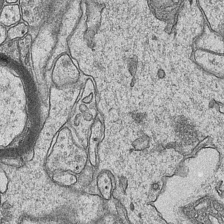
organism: Mouse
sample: CA1 Hippocampus